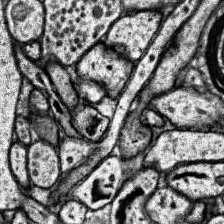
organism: Human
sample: Temporal Lobe